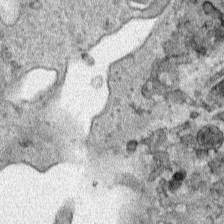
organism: Human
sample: Mitochondria in HCT116 cells